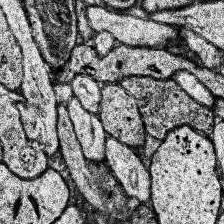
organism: Human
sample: Temporal Lobe